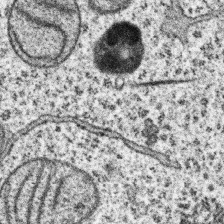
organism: Human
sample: HeLa cells